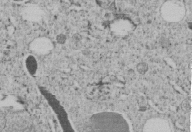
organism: C. elegans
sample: C. elegans embryo early stage